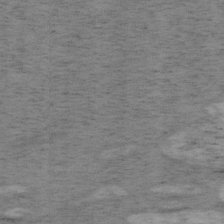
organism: Mouse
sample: OT-I killer T cells with ID8 ovarian cancer cells